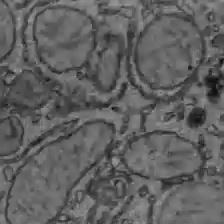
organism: C57BL Mouse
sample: Liver